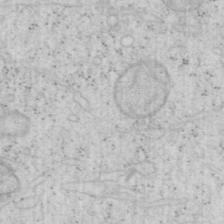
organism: Human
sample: HeLa cells